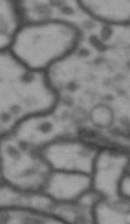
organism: Drosophila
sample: Brain